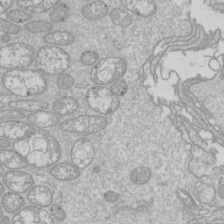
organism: Drosophila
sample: Cell division; meiosis; drosophila spermatocytes